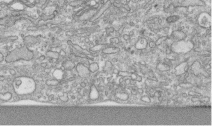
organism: Human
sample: Centriole in RPE cells